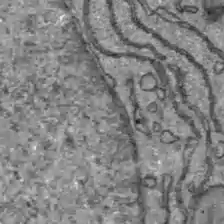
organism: C57BL Mouse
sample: Liver